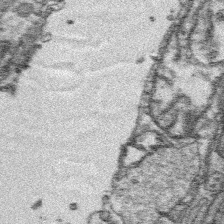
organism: Platynereis dumerilii